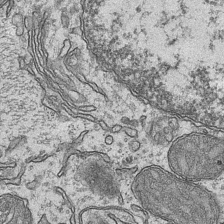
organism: Mouse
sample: CA1 Hippocampus